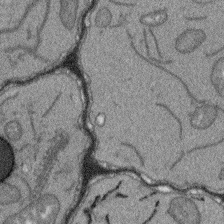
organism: Arabidopsis thaliana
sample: Root tip